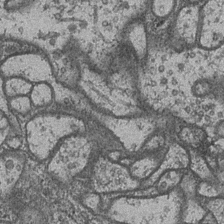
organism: Drosophila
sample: Optic medulla